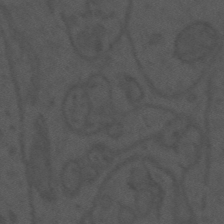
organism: Mouse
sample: Suprachiasmatic nucleus